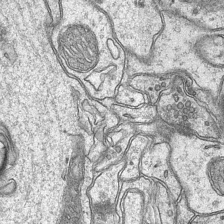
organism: Mouse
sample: CA1 Hippocampus